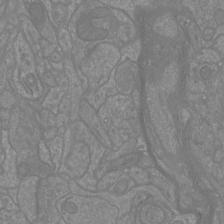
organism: Mouse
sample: Cortical neurons